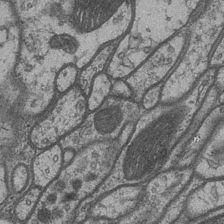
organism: Drosophila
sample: Optic medulla